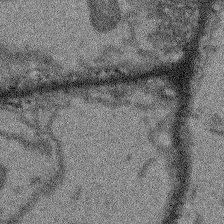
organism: Arabidopsis thaliana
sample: Root tip